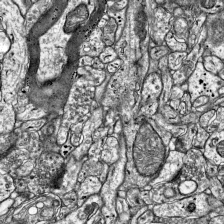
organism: Mouse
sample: Visual Cortex